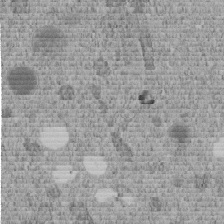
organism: C. elegans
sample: C. elegans embryo early stage